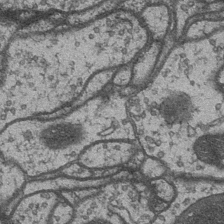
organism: Drosophila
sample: Optic medulla